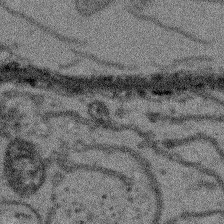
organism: Arabidopsis thaliana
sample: Root tip